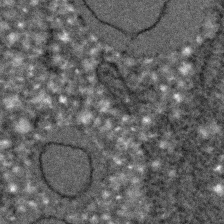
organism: C. elegans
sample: C. elegans embryo